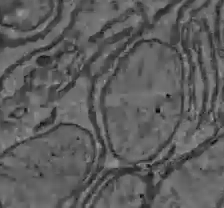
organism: C57BL Mouse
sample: Liver